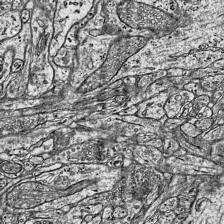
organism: Mouse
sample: Visual Cortex